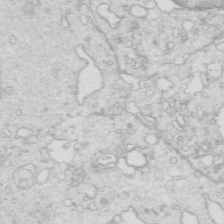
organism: Mouse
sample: Multiciliated cells